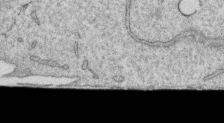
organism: Human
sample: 1205lu cells